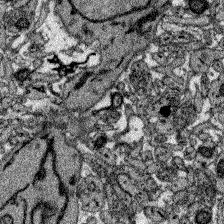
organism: Zebrafish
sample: Larval olfactory bulb